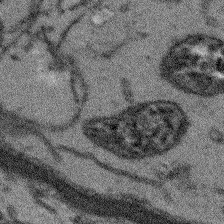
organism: Arabidopsis thaliana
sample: Root tip